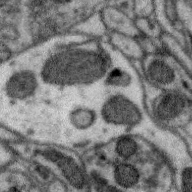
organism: Zebra finch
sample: Brain